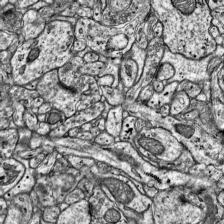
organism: Mouse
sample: Visual Cortex